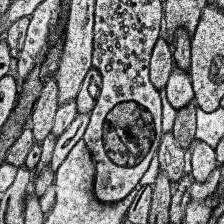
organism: Human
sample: Temporal Lobe